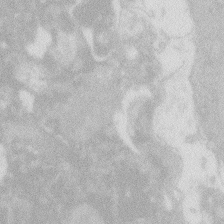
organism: Zebrafish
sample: Macrophage